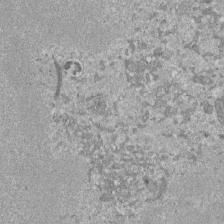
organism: Mouse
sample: ED-1 cell nuclei; centrioles